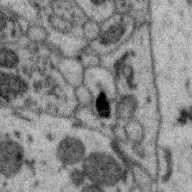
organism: Zebra finch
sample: Brain